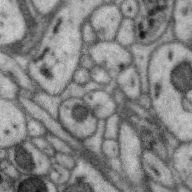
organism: Zebra finch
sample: Brain